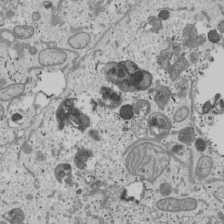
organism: Human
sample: Mitochondria in U2OS cells